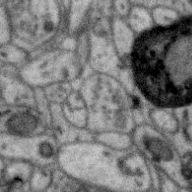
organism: Zebra finch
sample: Brain